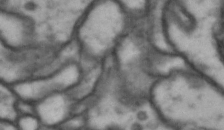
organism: Drosophila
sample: Brain